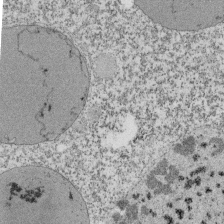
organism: Tetrahymena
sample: Cilia in tetrahymena